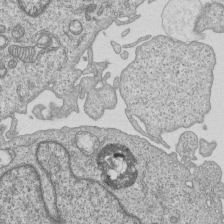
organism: Human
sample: MDA-MB-231 cells